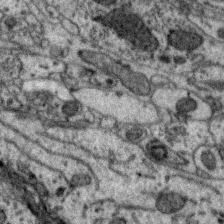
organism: Zebra finch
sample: Brain